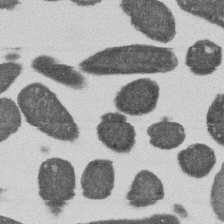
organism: E. coli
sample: Bacterial nucleoid